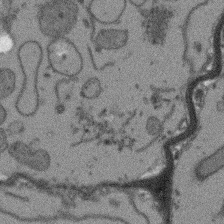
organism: Arabidopsis thaliana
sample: Root tip